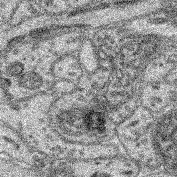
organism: Mouse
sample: Retina